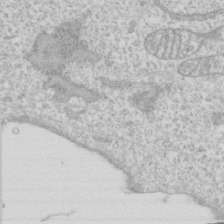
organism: Human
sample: CRL-1474